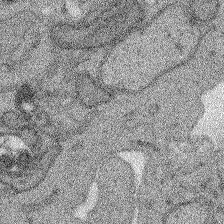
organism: Human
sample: HeLa cells